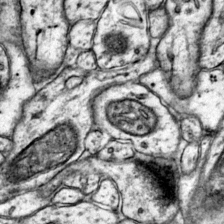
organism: Mouse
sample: Primary visual cortex